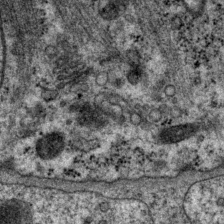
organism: P. pacificus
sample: Pharynx